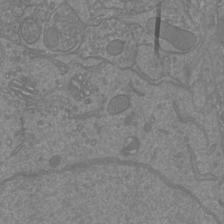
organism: Mouse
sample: Cortical neurons